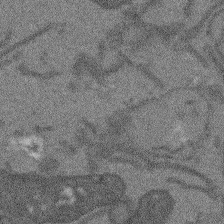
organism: Arabidopsis thaliana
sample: Root tip